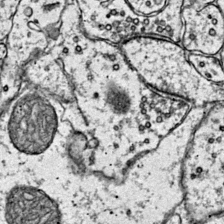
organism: Mouse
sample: Primary visual cortex